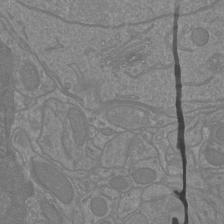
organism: Mouse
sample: Cortical neurons